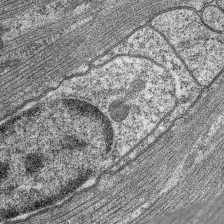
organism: C. elegans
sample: Pharynx